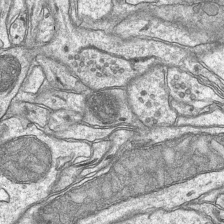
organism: Mouse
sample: CA1 Hippocampus